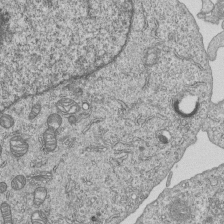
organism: Human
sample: MDA-MB-231 cells